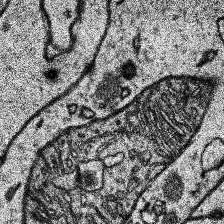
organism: Human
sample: Temporal Lobe